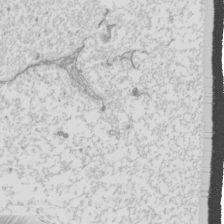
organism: Mouse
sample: Cilia; mouse epididymis